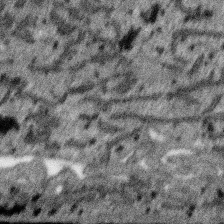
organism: Human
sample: Lung epithelial cells infected with SARS-CoV-2